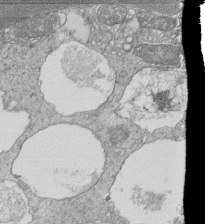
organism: Tetrahymena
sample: Cilia in tetrahymena